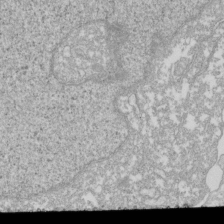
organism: Xenopus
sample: Cilia; centrioles in frog embryo cells